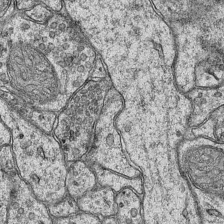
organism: Mouse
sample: CA1 Hippocampus